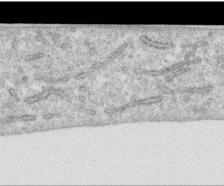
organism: Human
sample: Centriole in RPE cells